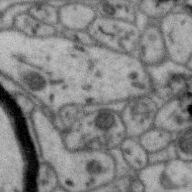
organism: Zebra finch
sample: Brain